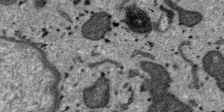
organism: Human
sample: Lung epithelial cells, uninfected (mock) control